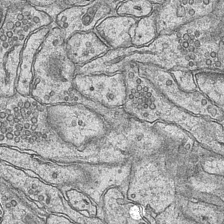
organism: Mouse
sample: CA1 Hippocampus